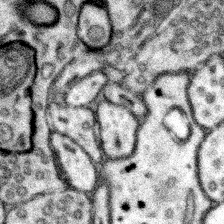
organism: Mouse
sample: Somatosensory cortex neuropil